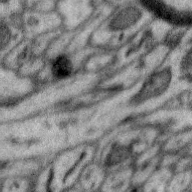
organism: Zebra finch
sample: Brain